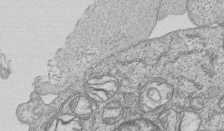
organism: Human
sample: MDA-MB-231 cells